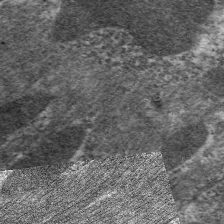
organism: C. elegans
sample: Pharynx